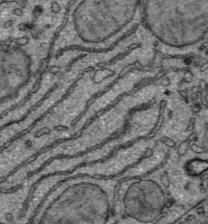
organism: C57BL Mouse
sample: Liver